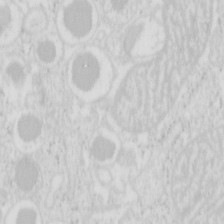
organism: Mouse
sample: Pancreas